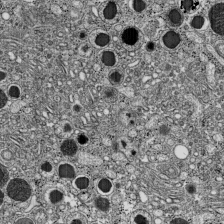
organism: C57BL Mouse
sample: Pancreatic islet